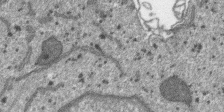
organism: Human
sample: Lung epithelial cells infected with SARS-CoV-2